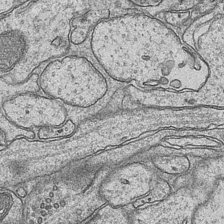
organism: Mouse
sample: CA1 Hippocampus